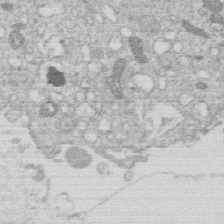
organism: Human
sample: Macrophage cells